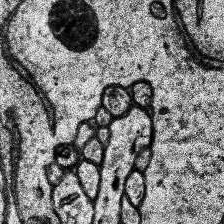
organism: Human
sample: Temporal Lobe